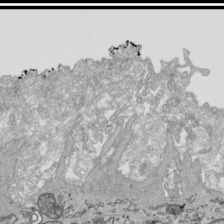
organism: Human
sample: Mitochondria in HCT116 cells